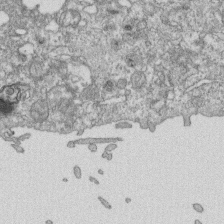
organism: Human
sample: HeLa cell HIV synapse